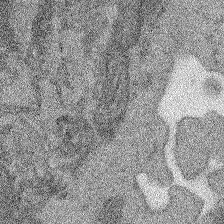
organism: Human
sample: HeLa cells